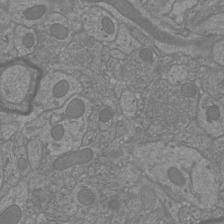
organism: Mouse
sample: Cortical neurons